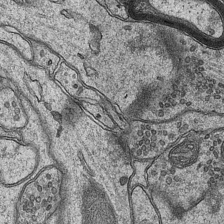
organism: Mouse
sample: CA1 Hippocampus